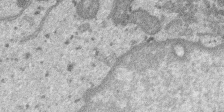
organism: Human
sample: Lung epithelial cells infected with SARS-CoV-2